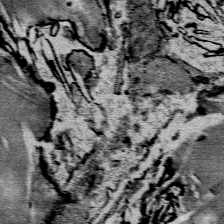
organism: Mouse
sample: Mouse Salivary gland